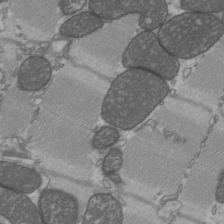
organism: C57BL Mouse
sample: Heart